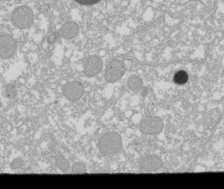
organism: Xenopus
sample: Cilia; centrioles in frog embryo cells